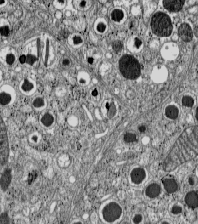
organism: C57BL Mouse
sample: Pancreatic islet